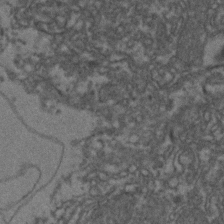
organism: Zebrafish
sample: Zebrafish embryo